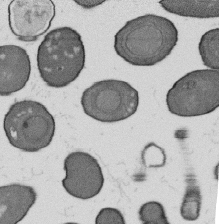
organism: B. subtilis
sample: Bacterial spore